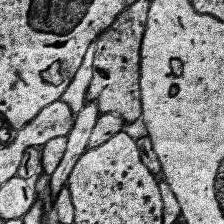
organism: Human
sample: Temporal Lobe